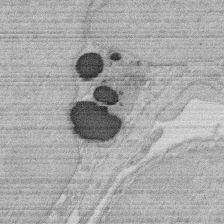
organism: Rat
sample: Salivary granule